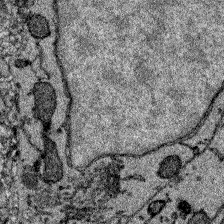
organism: Zebrafish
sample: Larval olfactory bulb